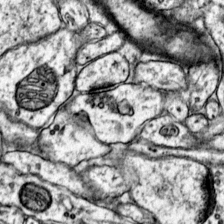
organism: Mouse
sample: Primary visual cortex